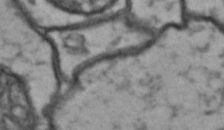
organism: Drosophila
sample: Brain